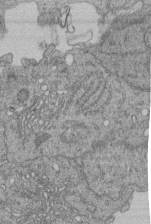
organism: Human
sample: Retinal organoid Rod and Cone cells